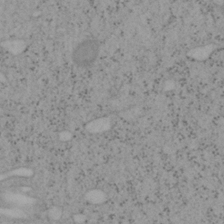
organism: Mouse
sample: OT-I killer T cells with ID8 ovarian cancer cells